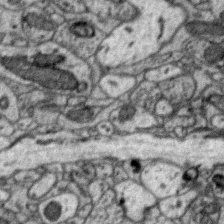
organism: Zebra finch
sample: Brain